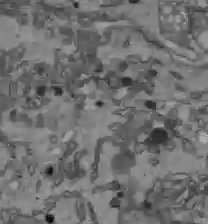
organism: C57BL Mouse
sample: Liver